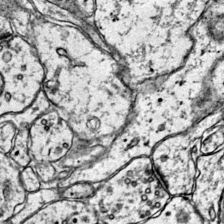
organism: Mouse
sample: Primary visual cortex